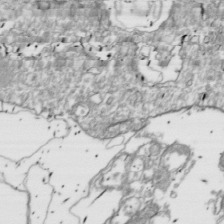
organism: Drosophila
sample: Cell division; meiosis; drosophila spermatocytes